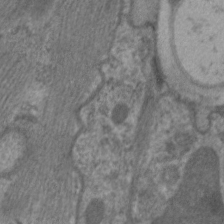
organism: C. elegans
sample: Pharynx